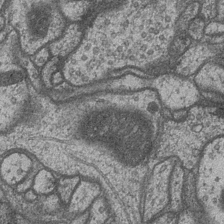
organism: Drosophila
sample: Optic medulla